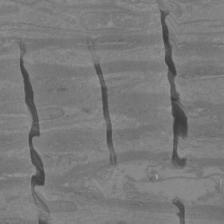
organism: Mouse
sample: Cortical neurons